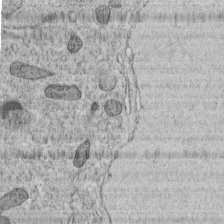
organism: C. elegans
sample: C. elegans embryo early stage